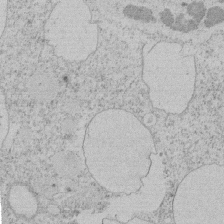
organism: Tetrahymena